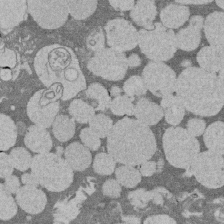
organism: Rat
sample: Salivary granule